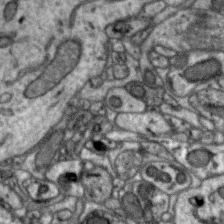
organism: Zebra finch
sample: Brain